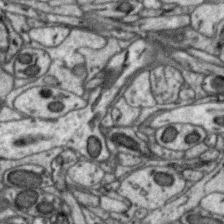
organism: Zebra finch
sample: Brain